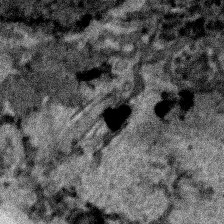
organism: Human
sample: Mitochondria in HCT116 cells